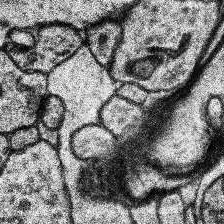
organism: Human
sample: Temporal Lobe